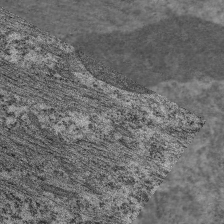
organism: C. elegans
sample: Pharynx